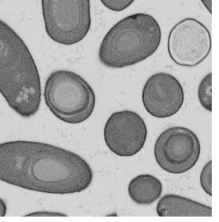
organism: B. subtilis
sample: Bacterial spore